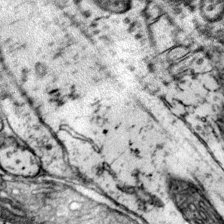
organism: Mouse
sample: Primary visual cortex